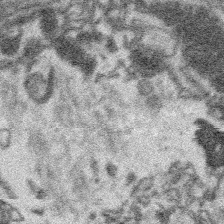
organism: Platynereis dumerilii